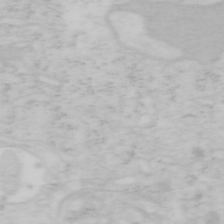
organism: Mouse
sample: OT-I killer T cells with ID8 ovarian cancer cells